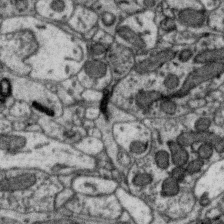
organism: Zebra finch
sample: Brain